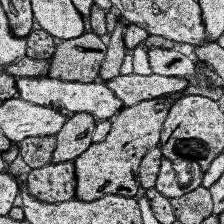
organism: Human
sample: Temporal Lobe